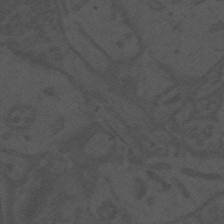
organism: Mouse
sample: Suprachiasmatic nucleus